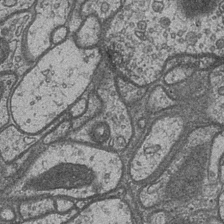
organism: Drosophila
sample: Optic medulla